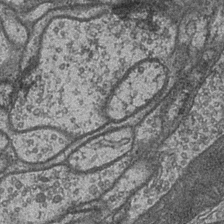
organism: Drosophila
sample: Optic medulla